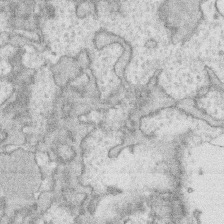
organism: Human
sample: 1205lu cells